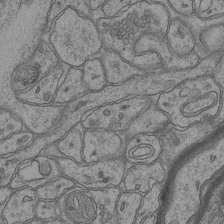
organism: Mouse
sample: CA1 Hippocampus